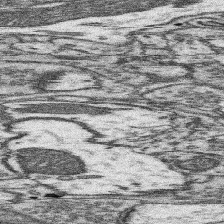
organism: Mouse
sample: Somatosensory cortex neuropil